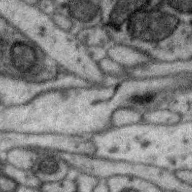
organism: Zebra finch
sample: Brain